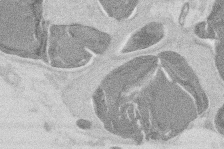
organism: Mouse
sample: T cell stromal cell synapse